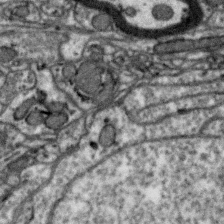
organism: Zebra finch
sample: Brain